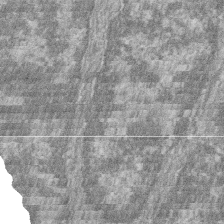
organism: Zebrafish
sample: Cilia; retinal pigment epithelium